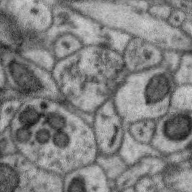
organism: Zebra finch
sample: Brain